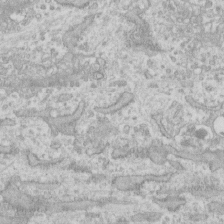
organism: Human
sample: Fibroblast cells